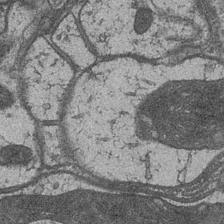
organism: Drosophila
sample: Optic medulla